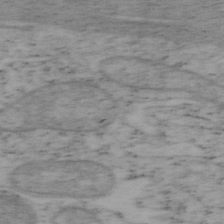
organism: Mouse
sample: OT-I killer T cells with ID8 ovarian cancer cells